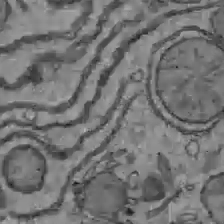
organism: C57BL Mouse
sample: Liver